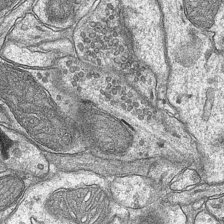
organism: Mouse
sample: CA1 Hippocampus